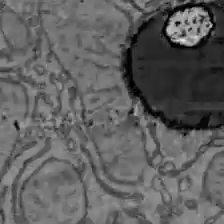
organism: C57BL Mouse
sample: Liver